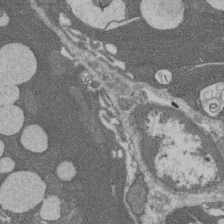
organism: Rat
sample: Salivary granule